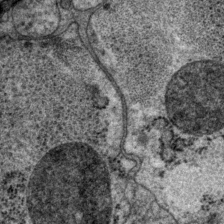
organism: P. pacificus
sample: Pharynx